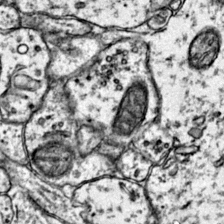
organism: Mouse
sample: Primary visual cortex